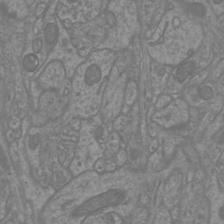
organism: Mouse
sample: Cortical neurons